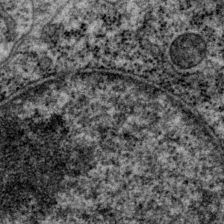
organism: P. pacificus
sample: Pharynx